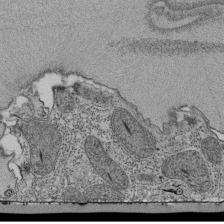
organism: Tetrahymena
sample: Cilia in tetrahymena